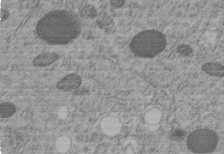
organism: C. elegans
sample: C. elegans embryo early stage